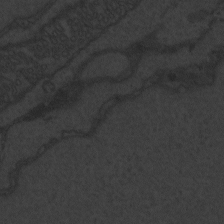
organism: Zebrafish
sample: Macrophage infected with Toxoplasma gondii